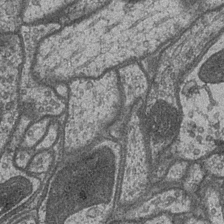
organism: Drosophila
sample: Optic medulla